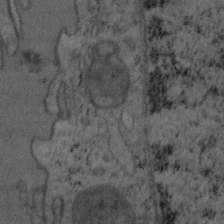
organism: Human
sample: HeLa cells